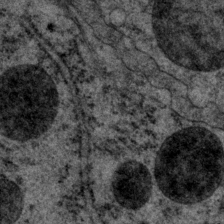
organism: P. pacificus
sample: Pharynx